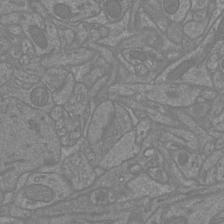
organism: Mouse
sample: Cortical neurons